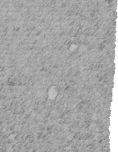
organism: C. elegans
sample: C. elegans embryo early stage